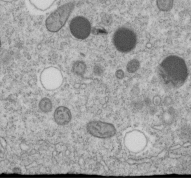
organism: C. elegans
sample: C. elegans embryo early stage